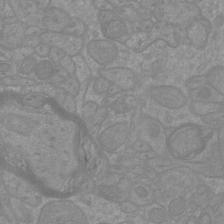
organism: Mouse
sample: Cortical neurons